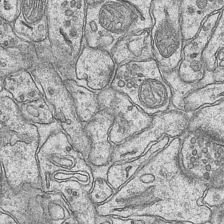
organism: Mouse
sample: CA1 Hippocampus